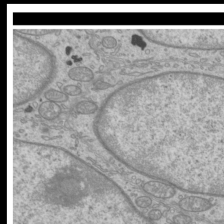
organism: Mouse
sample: Cilia; mouse epididymis